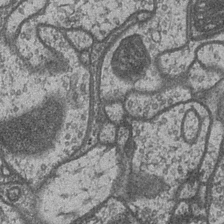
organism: Drosophila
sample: Optic medulla